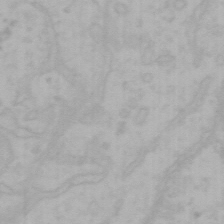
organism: Mouse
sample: Choroid plexus